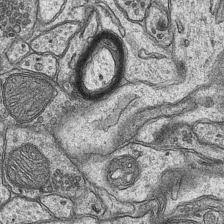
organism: Mouse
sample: CA1 Hippocampus